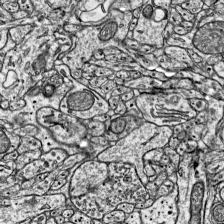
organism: Mouse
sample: Visual Cortex